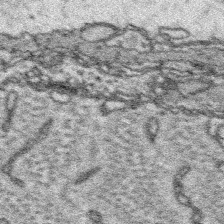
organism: Platynereis dumerilii